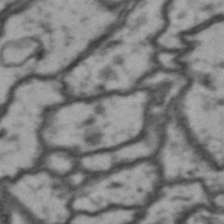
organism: Drosophila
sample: Brain